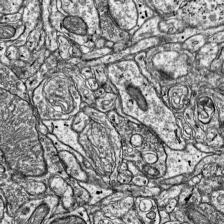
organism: Mouse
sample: Visual Cortex